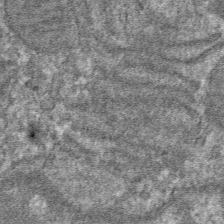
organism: Mouse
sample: Mouse hepatocytes